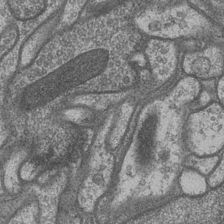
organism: Drosophila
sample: Optic medulla